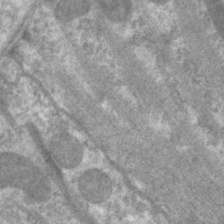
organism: C. elegans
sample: Pharynx